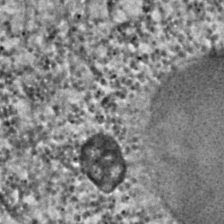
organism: C. elegans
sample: C. elegans embryo